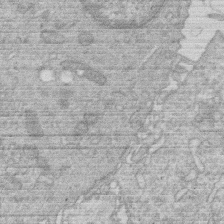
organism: Human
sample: Macrophage cells